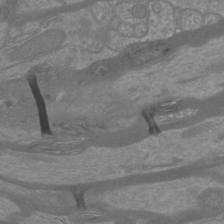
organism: Mouse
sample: Cortical neurons